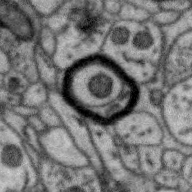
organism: Zebra finch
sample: Brain